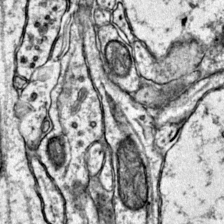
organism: Mouse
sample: Primary visual cortex